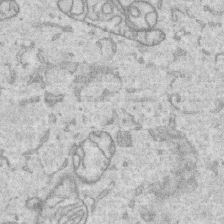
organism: Human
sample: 1205lu cells